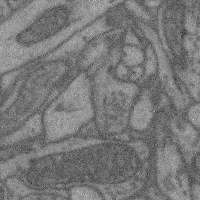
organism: Mouse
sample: Cerebral cortex